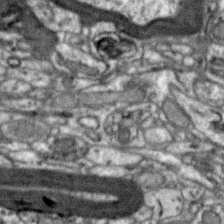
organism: Zebra finch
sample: Brain